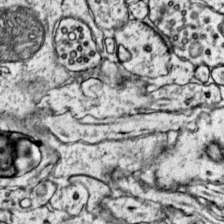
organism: Mouse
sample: Primary visual cortex